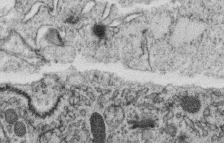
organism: C. elegans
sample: C. elegans oocyte; sperm cells